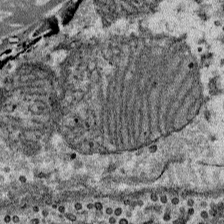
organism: Mouse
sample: Mouse Salivary gland